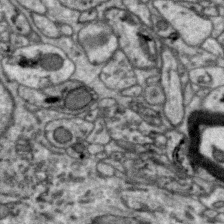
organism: Zebra finch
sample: Brain